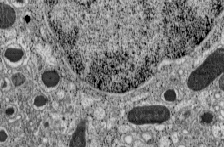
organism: C57BL Mouse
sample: Pancreatic islet